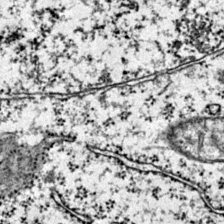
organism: Mouse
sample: Primary visual cortex